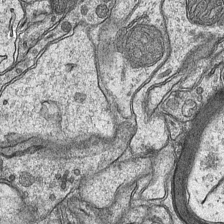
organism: Mouse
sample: CA1 Hippocampus